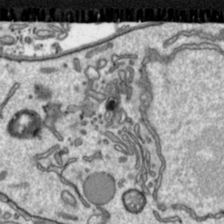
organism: Toxoplasma gondii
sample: Parasites in a vacuole inside a host cell